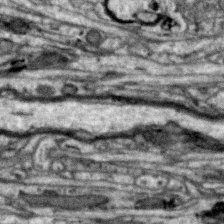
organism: Zebra finch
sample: Brain